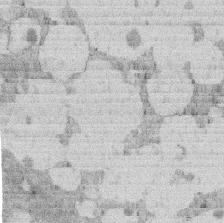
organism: Rat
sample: Salivary granule